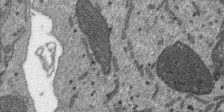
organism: Human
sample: Lung epithelial cells infected with SARS-CoV-2